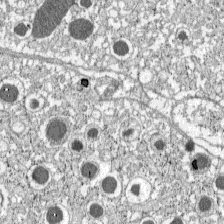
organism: C57BL Mouse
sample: Pancreatic islet